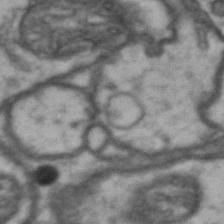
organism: Drosophila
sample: Brain